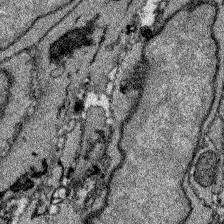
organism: Zebrafish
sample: Larval olfactory bulb